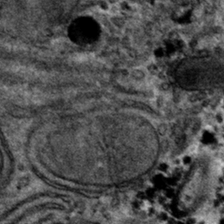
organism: Mouse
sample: Mouse hepatocytes